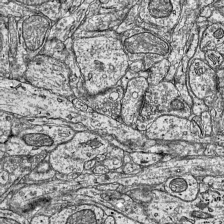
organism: Mouse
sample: Visual Cortex